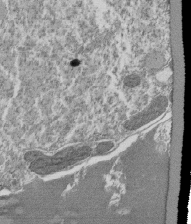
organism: Tetrahymena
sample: Cilia in tetrahymena